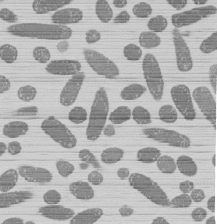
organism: E. coli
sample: Bacterial nucleoid